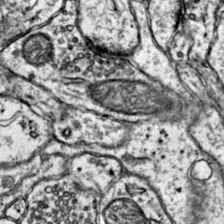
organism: Mouse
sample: Primary visual cortex